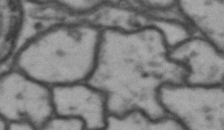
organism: Drosophila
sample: Brain